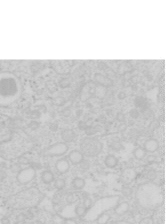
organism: Mouse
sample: Pancreas